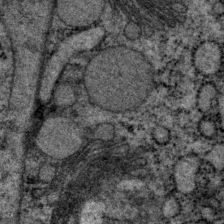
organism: P. pacificus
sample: Pharynx